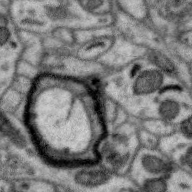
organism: Zebra finch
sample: Brain